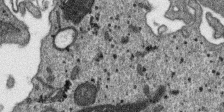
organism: Human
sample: Lung epithelial cells infected with SARS-CoV-2